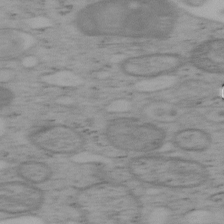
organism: Mouse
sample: OT-I killer T cells with ID8 ovarian cancer cells